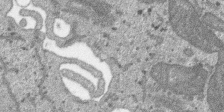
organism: Human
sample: Lung epithelial cells infected with SARS-CoV-2